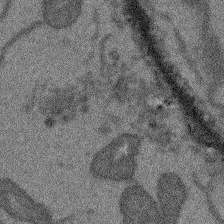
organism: Arabidopsis thaliana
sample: Root tip